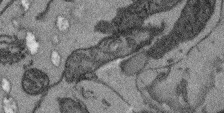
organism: Arabidopsis thaliana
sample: Root tip